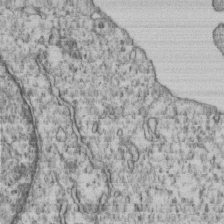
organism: Human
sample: MDA-MB-231 cells